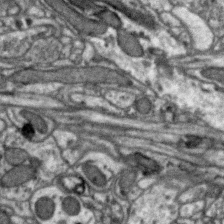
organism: Zebra finch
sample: Brain